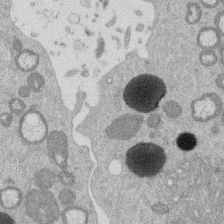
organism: Mouse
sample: Dividing mouse embryo 1 cell stage